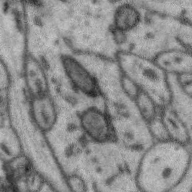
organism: Zebra finch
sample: Brain